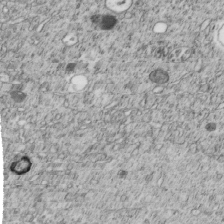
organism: C. elegans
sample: C. elegans embryo early stage